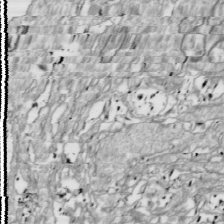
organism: Drosophila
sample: Cell division; meiosis; drosophila spermatocytes